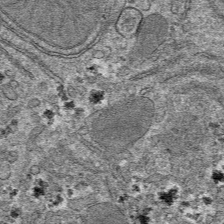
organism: Mouse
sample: Mouse hepatocytes